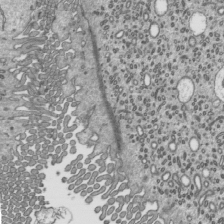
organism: Mouse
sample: Mouse epididymis efferent ductule cilia